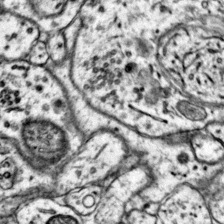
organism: Mouse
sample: Primary visual cortex